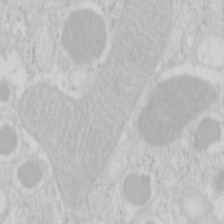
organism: Mouse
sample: Pancreas